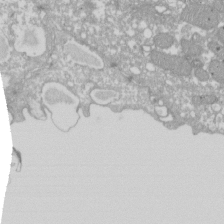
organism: Xenopus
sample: Cilia; centrioles in frog embryo cells